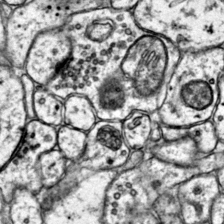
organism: Mouse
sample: Primary visual cortex